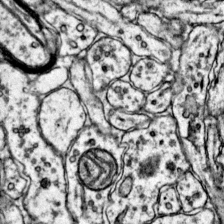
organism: Mouse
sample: Primary visual cortex